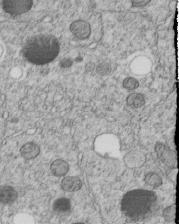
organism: C. elegans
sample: C. elegans embryo early stage